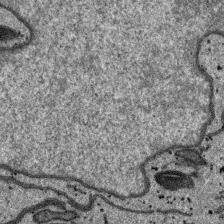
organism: Human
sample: Lung epithelial cells, uninfected (mock) control